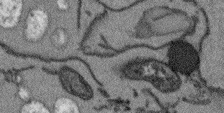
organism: Arabidopsis thaliana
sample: Root tip